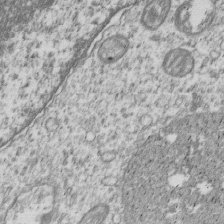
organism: Human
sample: MDA-MB-231 cells